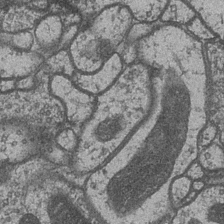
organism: Drosophila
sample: Optic medulla